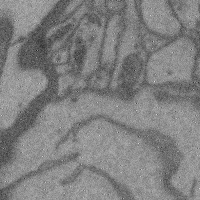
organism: Mouse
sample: Cerebral cortex